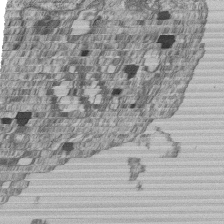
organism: Human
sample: MDA-MB-231 cells